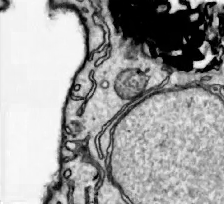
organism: Zebrafish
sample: Actinotrichia fibers